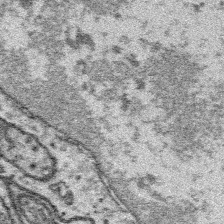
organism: Platynereis dumerilii